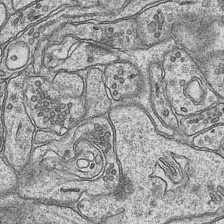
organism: Mouse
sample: CA1 Hippocampus